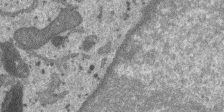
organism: Human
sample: Lung epithelial cells infected with SARS-CoV-2